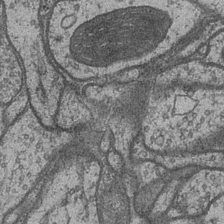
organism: Drosophila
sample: Optic medulla